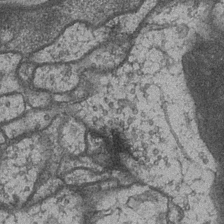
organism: Drosophila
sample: Optic medulla